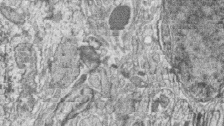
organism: Zebrafish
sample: synaptic ribbons in rod cells and cone cells